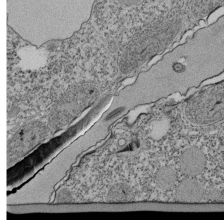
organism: Tetrahymena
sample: Cilia in tetrahymena